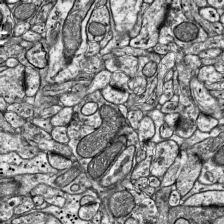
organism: Mouse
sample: Visual Cortex